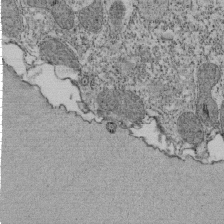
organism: Tetrahymena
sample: Cilia in tetrahymena